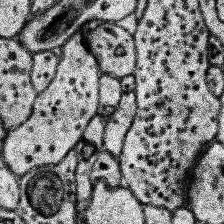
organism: Human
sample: Temporal Lobe